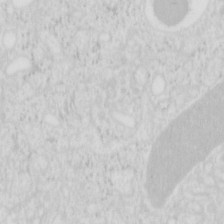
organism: Mouse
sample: Pancreas